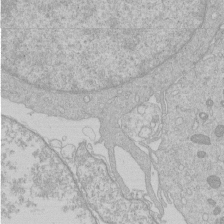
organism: Human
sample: Macrophage cells